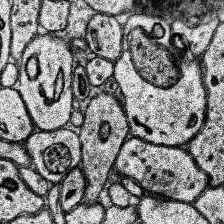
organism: Human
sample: Temporal Lobe